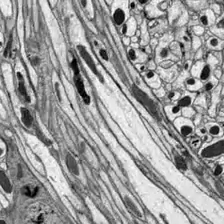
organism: Drosophila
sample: Optic lobe